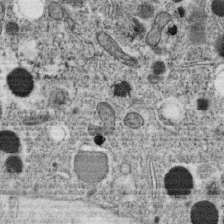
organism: C. elegans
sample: C. elegans oocyte; sperm cells